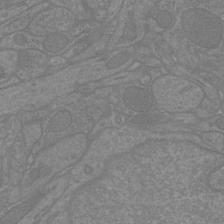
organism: Mouse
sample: Cortical neurons